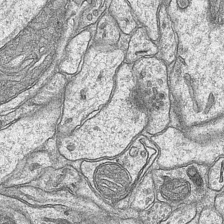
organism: Mouse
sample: CA1 Hippocampus